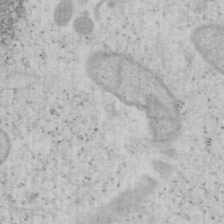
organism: Human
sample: HeLa cells